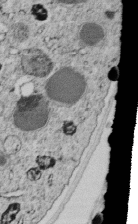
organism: C. elegans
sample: C. elegans embryo early stage